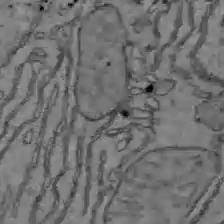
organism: C57BL Mouse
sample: Liver